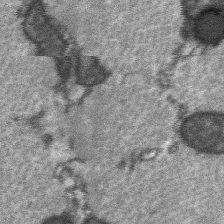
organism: C57BL Mouse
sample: Soleus